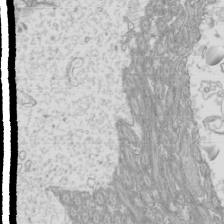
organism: Mouse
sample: Cilia; mouse epididymis